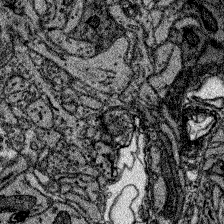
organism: Zebrafish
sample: Larval olfactory bulb